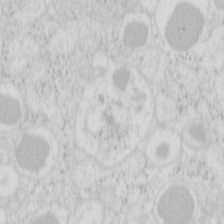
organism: Mouse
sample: Pancreas